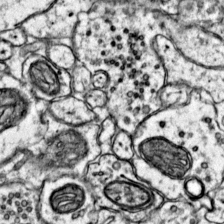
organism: Mouse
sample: Primary visual cortex